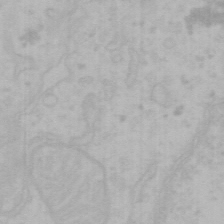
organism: Mouse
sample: Choroid plexus